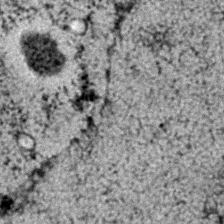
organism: C. elegans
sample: C. elegans embryo